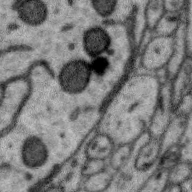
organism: Zebra finch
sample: Brain